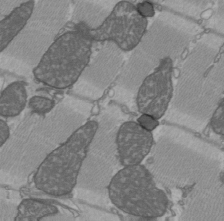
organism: C57BL Mouse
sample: Heart